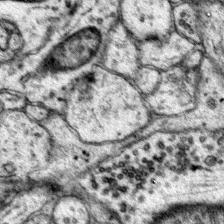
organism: Mouse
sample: Primary visual cortex